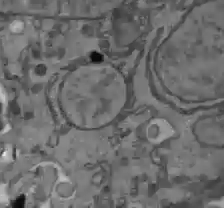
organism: C57BL Mouse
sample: Liver